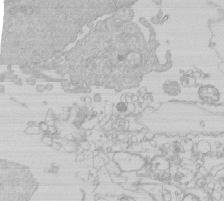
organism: Human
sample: Macrophage cells